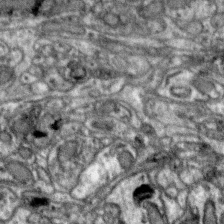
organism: Zebra finch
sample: Brain